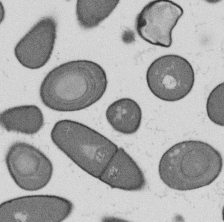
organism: B. subtilis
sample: Bacterial spore